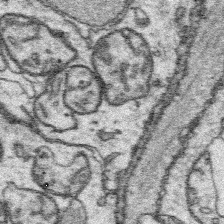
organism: Platynereis dumerilii